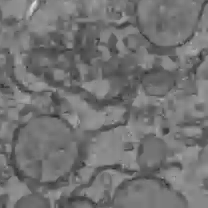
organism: C57BL Mouse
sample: Liver